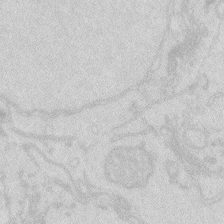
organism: Zebrafish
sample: Macrophage